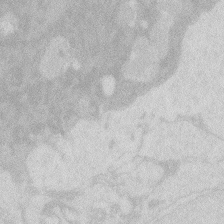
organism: Zebrafish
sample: Macrophage